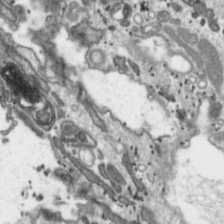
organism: Toxoplasma gondii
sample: Parasites in a vacuole inside a host cell